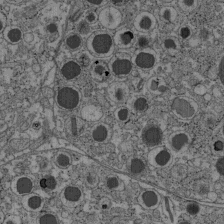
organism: C57BL Mouse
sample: Pancreatic islet